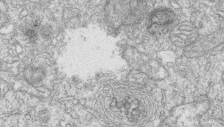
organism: Human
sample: HeLa cell HIV synapse